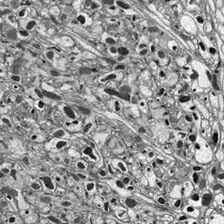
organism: Drosophila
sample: Optic lobe